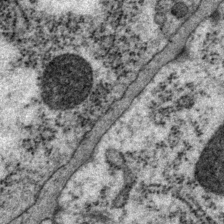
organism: P. pacificus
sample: Pharynx